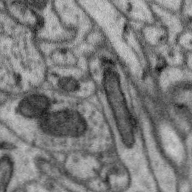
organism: Zebra finch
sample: Brain